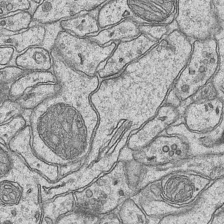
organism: Mouse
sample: CA1 Hippocampus